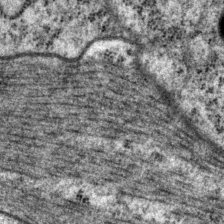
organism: P. pacificus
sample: Pharynx